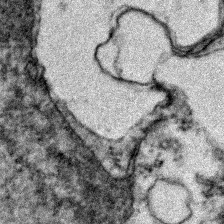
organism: Zebrafish